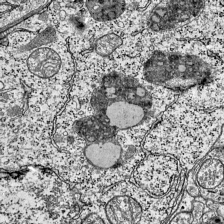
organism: Mouse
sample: Visual Cortex